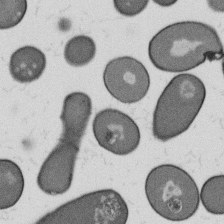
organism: B. subtilis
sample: Bacterial spore